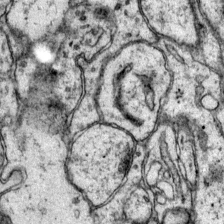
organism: Mouse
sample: Primary visual cortex